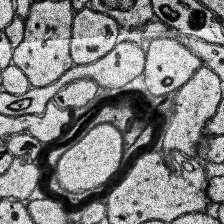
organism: Human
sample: Temporal Lobe